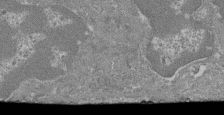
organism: Mouse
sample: Glomerulus